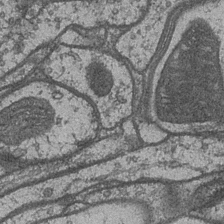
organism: Drosophila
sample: Optic medulla